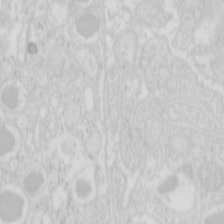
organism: Mouse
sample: Pancreas